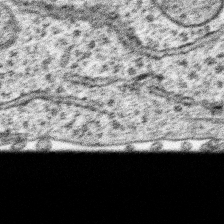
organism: Human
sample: HeLa cells